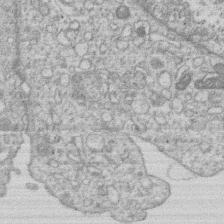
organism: Human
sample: Macrophage cells